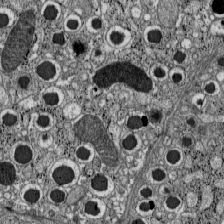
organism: C57BL Mouse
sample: Pancreatic islet